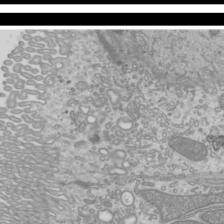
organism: Mouse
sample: Cilia; mouse epididymis